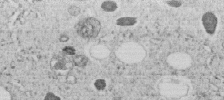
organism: C. elegans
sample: C. elegans embryo early stage